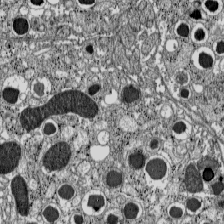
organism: C57BL Mouse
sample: Pancreatic islet